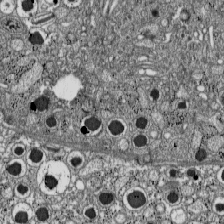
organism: C57BL Mouse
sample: Pancreatic islet